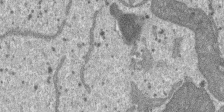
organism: Human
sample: Lung epithelial cells infected with SARS-CoV-2